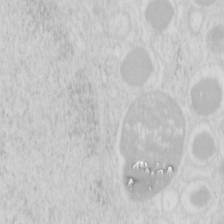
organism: Mouse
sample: Pancreas